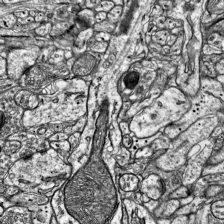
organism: Mouse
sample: Visual Cortex